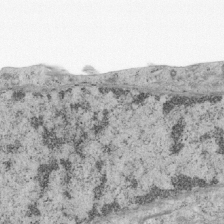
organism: Human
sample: HeLa cells